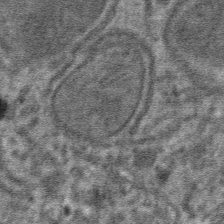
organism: Mouse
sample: Mouse hepatocytes